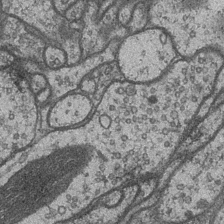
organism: Drosophila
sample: Optic medulla